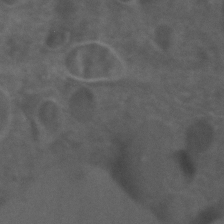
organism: Zebrafish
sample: Zebrafish embryo